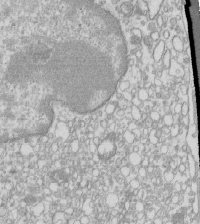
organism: Mouse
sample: Macrophages